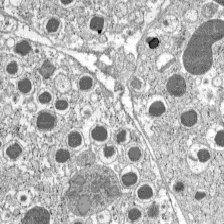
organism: C57BL Mouse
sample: Pancreatic islet